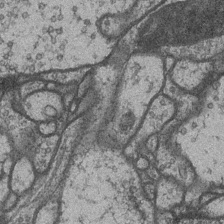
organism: Drosophila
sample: Optic medulla